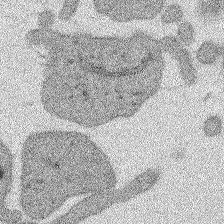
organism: Human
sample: HeLa cells